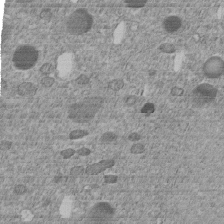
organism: C. elegans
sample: C. elegans embryo early stage